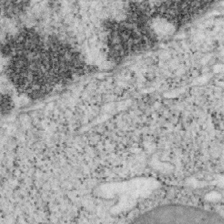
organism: Mouse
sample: OT-I killer T cells with ID8 ovarian cancer cells